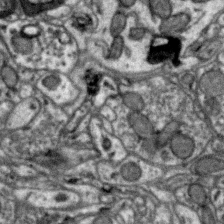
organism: Zebra finch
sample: Brain